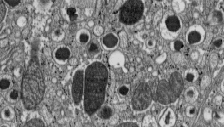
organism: C57BL Mouse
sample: Pancreatic islet